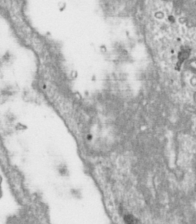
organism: Toxoplasma gondii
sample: Parasites in a vacuole inside a host cell